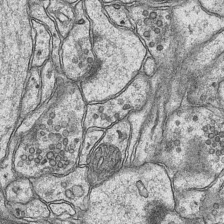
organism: Mouse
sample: CA1 Hippocampus